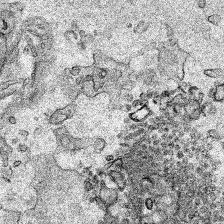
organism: Human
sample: Mitochondria in HCT116 cells